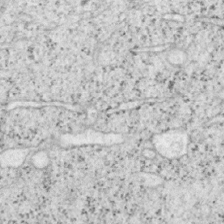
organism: Mouse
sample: OT-I killer T cells with ID8 ovarian cancer cells